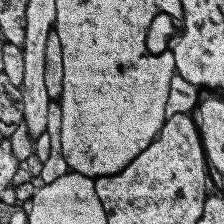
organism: Human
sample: Temporal Lobe